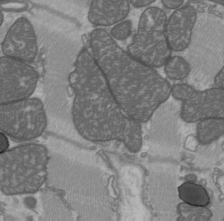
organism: C57BL Mouse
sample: Heart